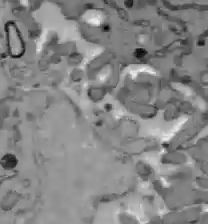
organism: C57BL Mouse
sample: Liver